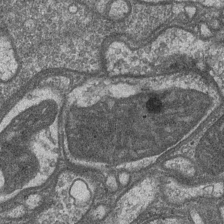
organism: Drosophila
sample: Optic medulla